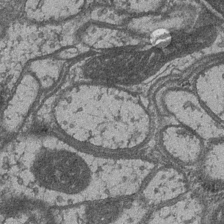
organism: Drosophila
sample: Optic medulla